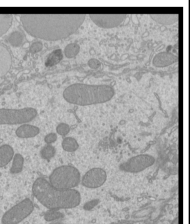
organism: Mouse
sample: Cilia; mouse epididymis